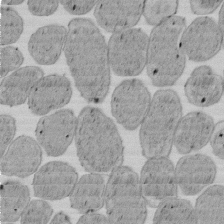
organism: E. coli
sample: Bacterial nucleoid